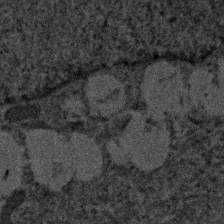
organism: Human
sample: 1205lu cells